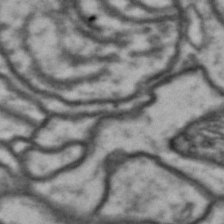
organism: Drosophila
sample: Brain